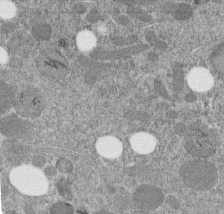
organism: C. elegans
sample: C. elegans embryo early stage